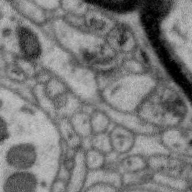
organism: Zebra finch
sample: Brain